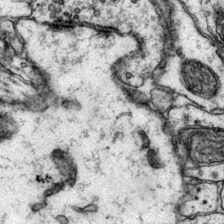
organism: Mouse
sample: Primary visual cortex